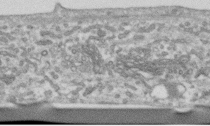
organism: Human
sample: Centriole in RPE cells